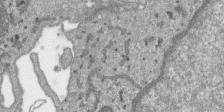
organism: Human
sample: Lung epithelial cells infected with SARS-CoV-2